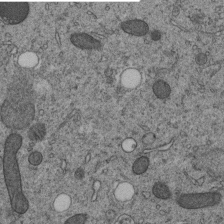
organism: C. elegans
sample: C. elegans embryo early stage